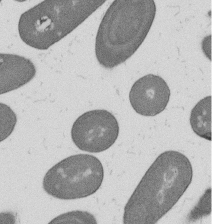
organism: B. subtilis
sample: Bacterial spore